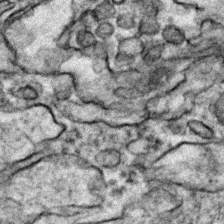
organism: Zebrafish